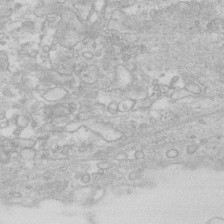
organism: Human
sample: Fibroblast cells